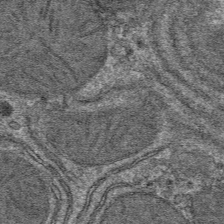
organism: Mouse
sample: Mouse hepatocytes